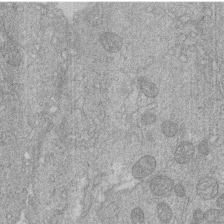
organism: Human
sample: Macrophage cells